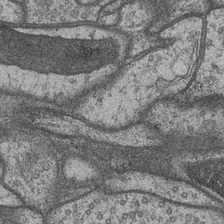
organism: Drosophila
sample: Optic medulla